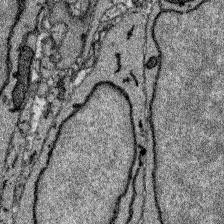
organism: Zebrafish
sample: Larval olfactory bulb